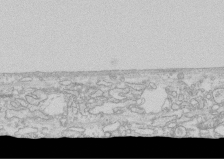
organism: Human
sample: CRL-1474